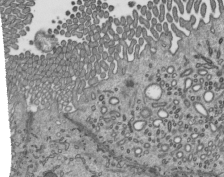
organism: Mouse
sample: Mouse epididymis efferent ductule cilia